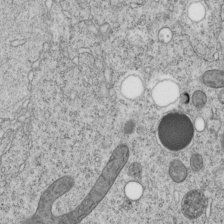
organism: C. elegans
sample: C. elegans embryo early stage